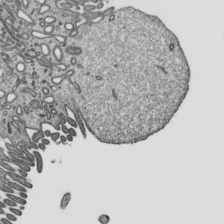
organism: Mouse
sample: Mouse epididymis efferent ductule cilia